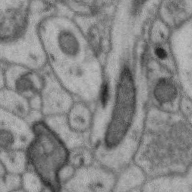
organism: Zebra finch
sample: Brain